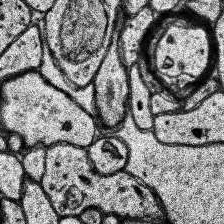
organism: Human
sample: Temporal Lobe